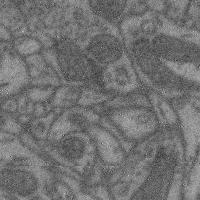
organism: Mouse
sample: Cerebral cortex